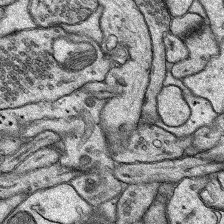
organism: Rat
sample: Hippocampus